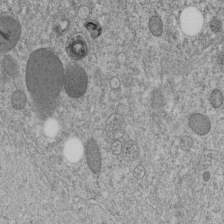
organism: C. elegans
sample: C. elegans embryo early stage